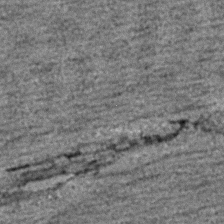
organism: C. elegans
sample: C. elegans embryo